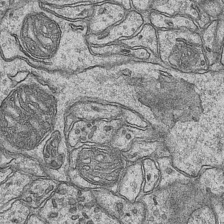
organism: Mouse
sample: CA1 Hippocampus